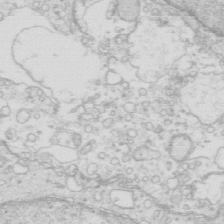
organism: Mouse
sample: Multiciliated cells